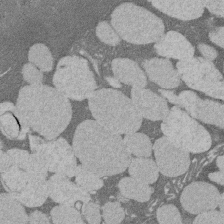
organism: Rat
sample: Salivary granule